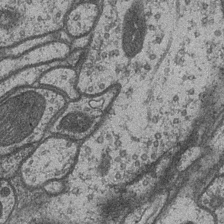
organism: Drosophila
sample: Optic medulla